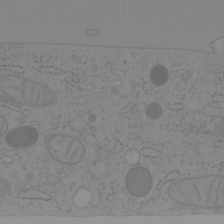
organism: Human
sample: HeLa cells